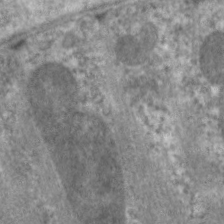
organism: C. elegans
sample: Pharynx